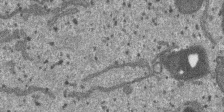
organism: Human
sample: Lung epithelial cells infected with SARS-CoV-2